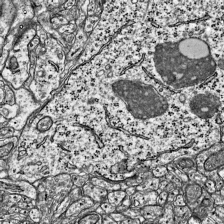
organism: Mouse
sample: Visual Cortex